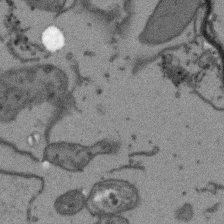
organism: Arabidopsis thaliana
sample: Root tip